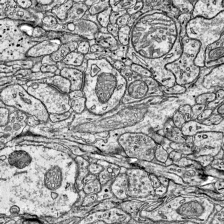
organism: Mouse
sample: Visual Cortex